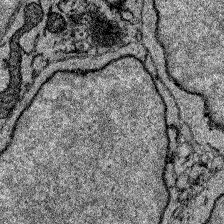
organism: Zebrafish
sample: Larval olfactory bulb